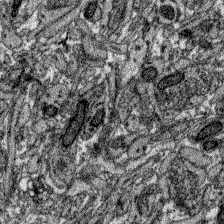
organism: Zebrafish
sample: Larval olfactory bulb